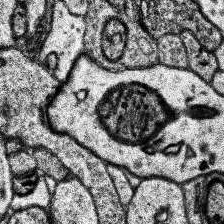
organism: Human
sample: Temporal Lobe